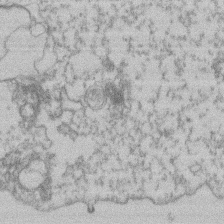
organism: Mouse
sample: T cell stromal cell synapse